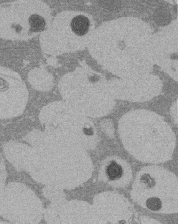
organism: Rat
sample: Salivary granule